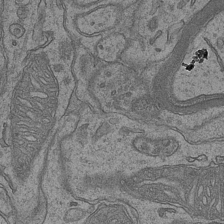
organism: Mouse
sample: CA1 Hippocampus